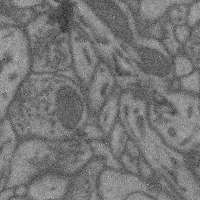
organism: Mouse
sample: Cerebral cortex